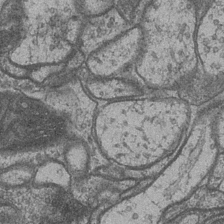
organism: Drosophila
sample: Optic medulla